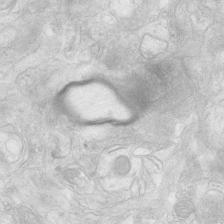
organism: Human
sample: Neocortex